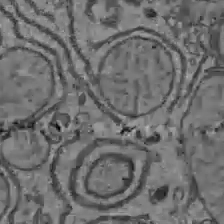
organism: C57BL Mouse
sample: Liver